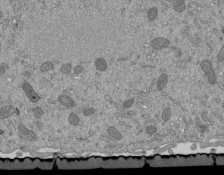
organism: Mouse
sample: ED-1 cell nuclei; centrioles